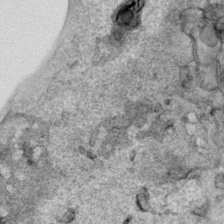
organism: Human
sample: Mitochondria in HCT116 cells